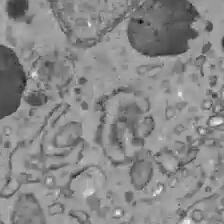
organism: C57BL Mouse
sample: Liver